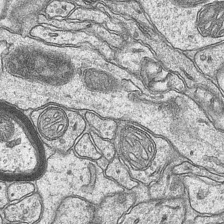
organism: Mouse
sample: CA1 Hippocampus